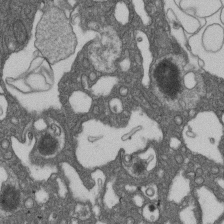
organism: Drosophila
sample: Nephrocyte